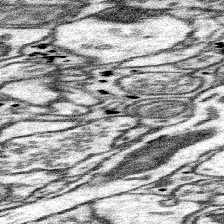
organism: Mouse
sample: Somatosensory cortex neuropil